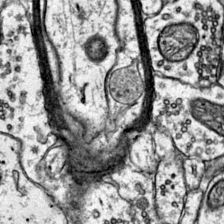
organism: Mouse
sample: Primary visual cortex